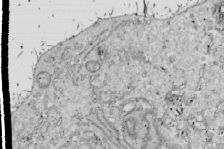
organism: Drosophila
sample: Cell division; meiosis; drosophila spermatocytes